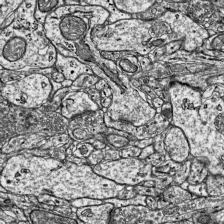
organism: Mouse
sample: Visual Cortex